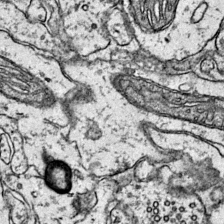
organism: Mouse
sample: Primary visual cortex